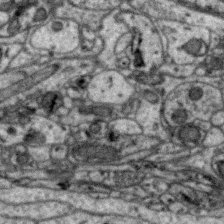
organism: Zebra finch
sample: Brain